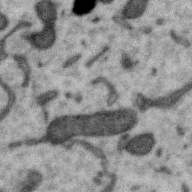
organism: Zebra finch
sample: Brain